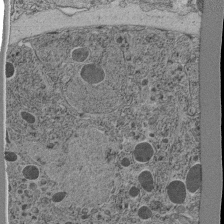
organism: C. elegans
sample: C. elegans pharynx